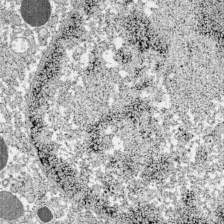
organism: C57BL Mouse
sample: Pancreatic islet